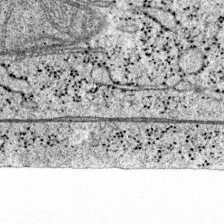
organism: Human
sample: HeLa cells